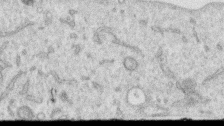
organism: Human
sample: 1205lu cells